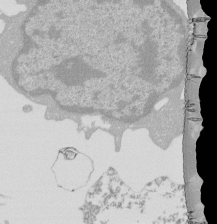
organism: Mouse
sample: Activated Pmel transgenic CD8+ T Cells